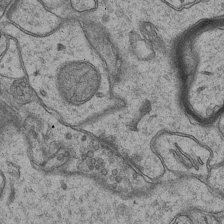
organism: Mouse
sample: CA1 Hippocampus